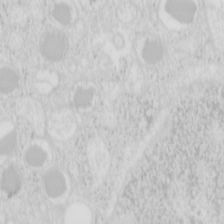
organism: Mouse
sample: Pancreas